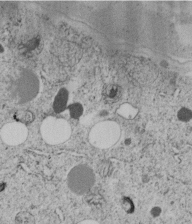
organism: C. elegans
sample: C. elegans embryo early stage